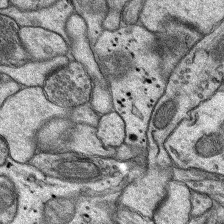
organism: Rat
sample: Hippocampus